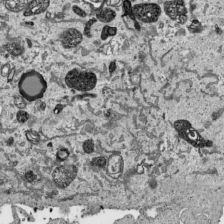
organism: Human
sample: Mitochondria in HCT116 cells